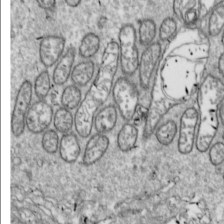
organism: Drosophila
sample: Cell division; meiosis; drosophila spermatocytes